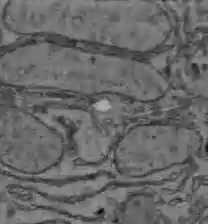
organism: C57BL Mouse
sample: Liver